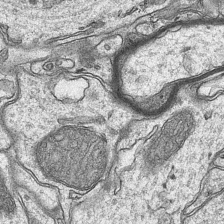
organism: Mouse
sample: CA1 Hippocampus